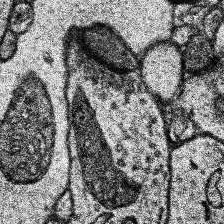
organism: Human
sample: Temporal Lobe